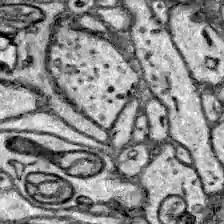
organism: Zebrafish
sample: Brain